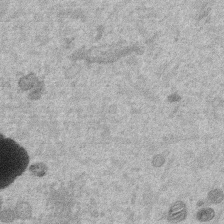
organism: Mouse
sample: Dividing mouse embryo 1 cell stage